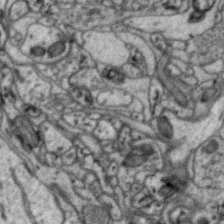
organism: Zebra finch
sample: Brain